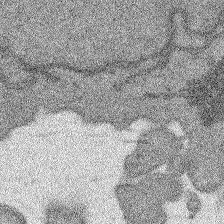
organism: Human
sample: HeLa cells